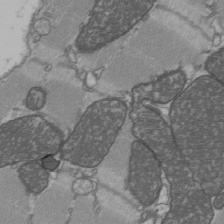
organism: C57BL Mouse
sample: Heart